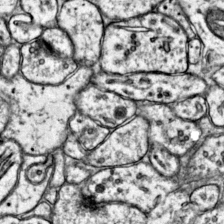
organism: Mouse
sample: Primary visual cortex